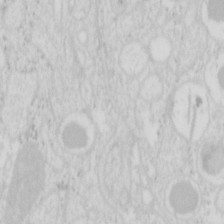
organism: Mouse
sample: Pancreas